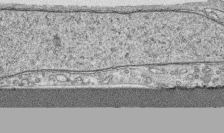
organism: Human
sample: CRL-1474